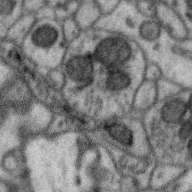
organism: Zebra finch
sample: Brain